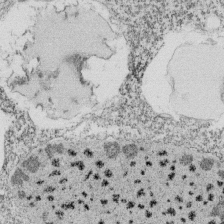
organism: Tetrahymena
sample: Cilia in tetrahymena